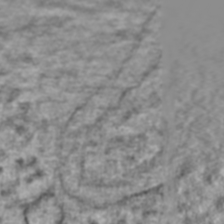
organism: Human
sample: Blood